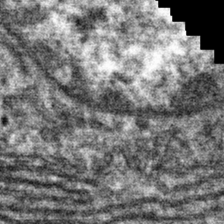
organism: Mouse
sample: Mouse hepatocytes